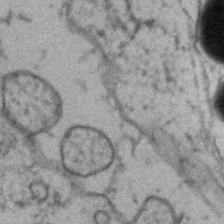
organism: Zebrafish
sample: Zebrafish embryo